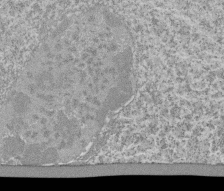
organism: Tetrahymena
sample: Cilia in tetrahymena